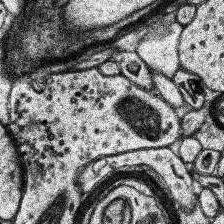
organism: Human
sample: Temporal Lobe